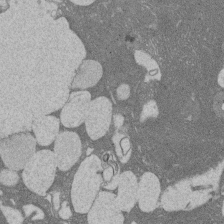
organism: Rat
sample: Salivary granule